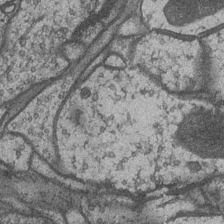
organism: Drosophila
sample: Optic medulla